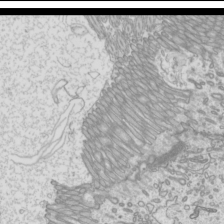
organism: Mouse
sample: Cilia; mouse epididymis